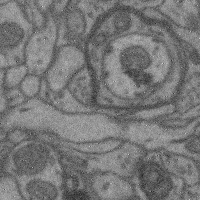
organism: Mouse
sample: Cerebral cortex